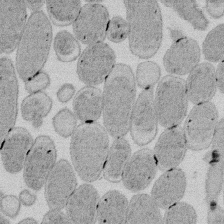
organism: E. coli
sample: Bacterial nucleoid